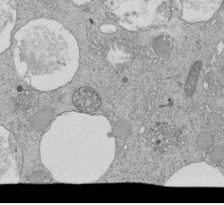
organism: Tetrahymena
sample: Cilia in tetrahymena